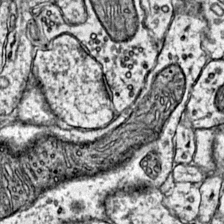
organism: Mouse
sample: Primary visual cortex